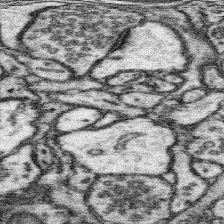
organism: Mouse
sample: Somatosensory cortex neuropil